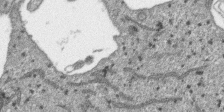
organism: Human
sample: Lung epithelial cells infected with SARS-CoV-2